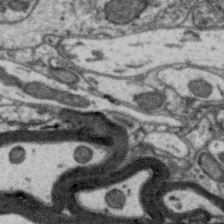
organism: Zebra finch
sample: Brain